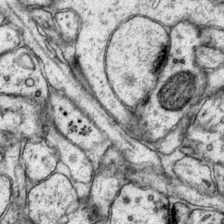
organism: Mouse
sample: Primary visual cortex